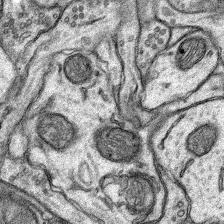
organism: Rat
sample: Hippocampus